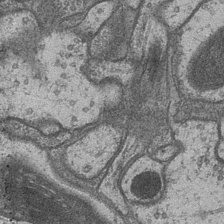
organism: Drosophila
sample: Optic medulla